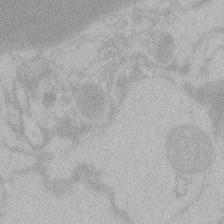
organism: Zebrafish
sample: Macrophage infected with Toxoplasma gondii